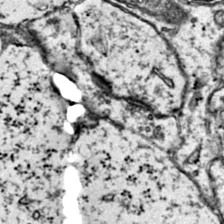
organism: Mouse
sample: Primary visual cortex